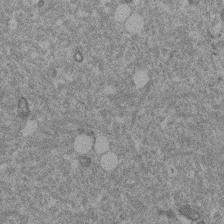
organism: Mouse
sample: Dividing mouse embryo 1 cell stage